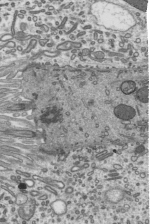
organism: Mouse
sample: Mouse epididymis efferent ductule cilia